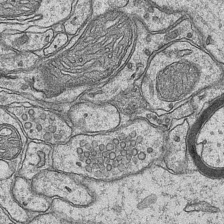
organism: Mouse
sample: CA1 Hippocampus